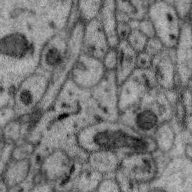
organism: Zebra finch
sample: Brain